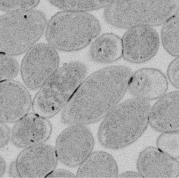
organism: E. coli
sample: Bacterial nucleoid